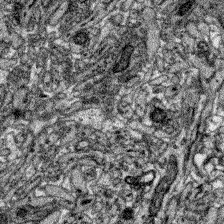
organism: Zebrafish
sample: Larval olfactory bulb